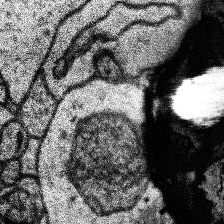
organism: Human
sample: Temporal Lobe